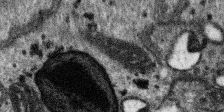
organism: Human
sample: Lung epithelial cells infected with SARS-CoV-2